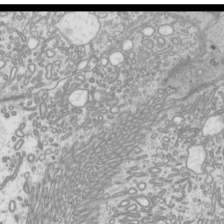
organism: Mouse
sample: Cilia; mouse epididymis